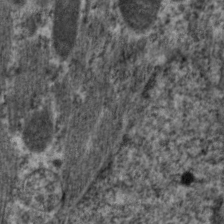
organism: C. elegans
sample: Pharynx